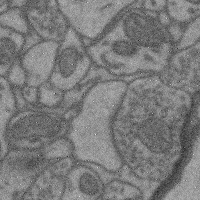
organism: Mouse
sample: Cerebral cortex